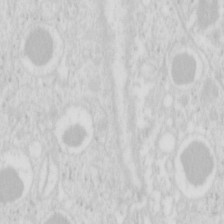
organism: Mouse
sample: Pancreas